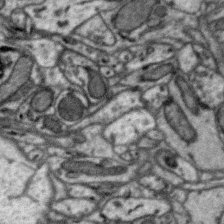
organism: Zebra finch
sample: Brain